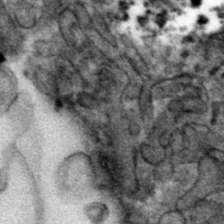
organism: Mouse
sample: Mouse hepatocytes